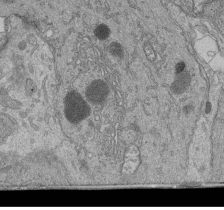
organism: Human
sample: Retinal organoid Rod and Cone cells